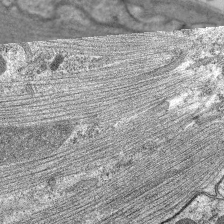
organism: C. elegans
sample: Pharynx